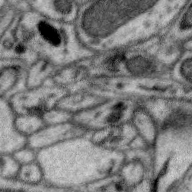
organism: Zebra finch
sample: Brain